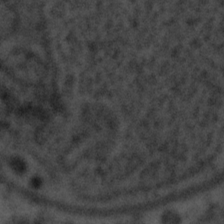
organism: Tuwongella immobilis